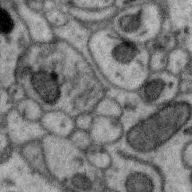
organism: Zebra finch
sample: Brain